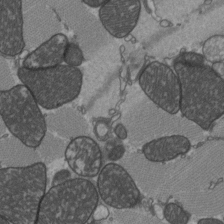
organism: C57BL Mouse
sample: Heart